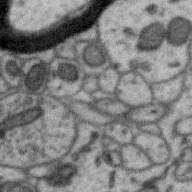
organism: Zebra finch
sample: Brain